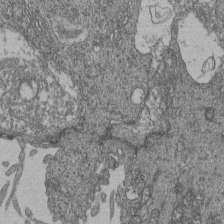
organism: Human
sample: Retinal organoid Rod and Cone cells